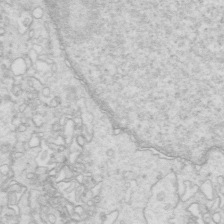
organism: Mouse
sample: Multiciliated cells